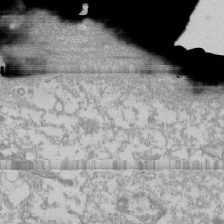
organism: Human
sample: CRL-1474